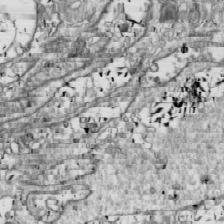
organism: Drosophila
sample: Cell division; meiosis; drosophila spermatocytes